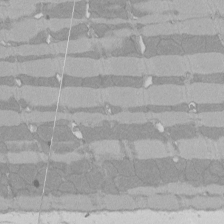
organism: Rat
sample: Left ventricle